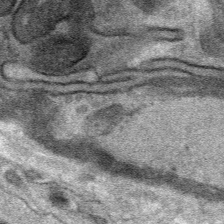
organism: Mouse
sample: Mouse Salivary gland